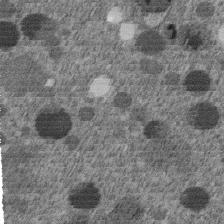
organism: C. elegans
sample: C. elegans embryo early stage